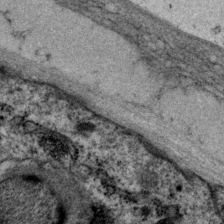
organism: P. pacificus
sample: Pharynx